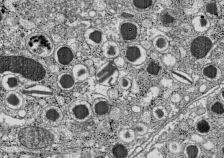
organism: C57BL Mouse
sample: Pancreatic islet